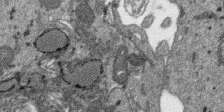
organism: Human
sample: Lung epithelial cells infected with SARS-CoV-2